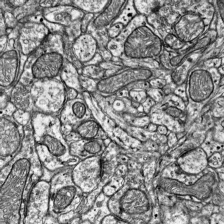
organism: Mouse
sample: Visual Cortex